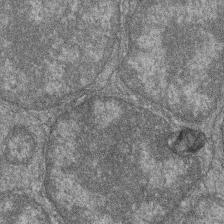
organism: Zebrafish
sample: Cilia; retinal pigment epithelium